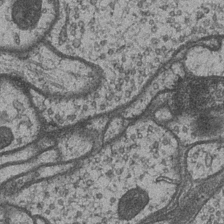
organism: Drosophila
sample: Optic medulla